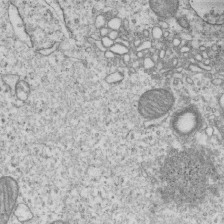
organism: Human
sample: MDA-MB-231 cells